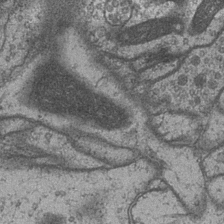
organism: Drosophila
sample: Optic medulla